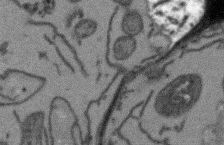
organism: Arabidopsis thaliana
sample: Root tip